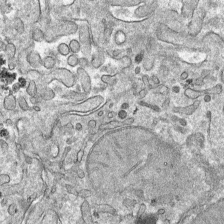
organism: Mouse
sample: Mouse hepatocytes